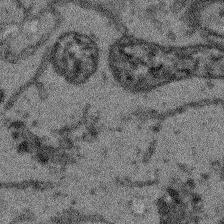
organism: Arabidopsis thaliana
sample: Root tip